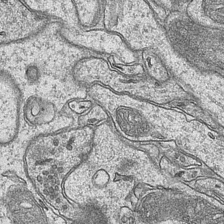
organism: Mouse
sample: CA1 Hippocampus